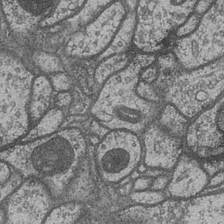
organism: Drosophila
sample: Optic medulla